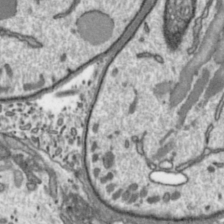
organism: Toxoplasma gondii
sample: Parasites in a vacuole inside a host cell